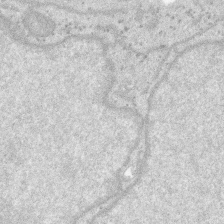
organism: Human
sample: Lung epithelial cells infected with SARS-CoV-2